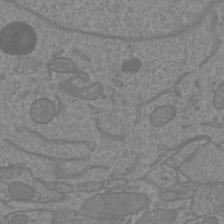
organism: Mouse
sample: Cortical neurons